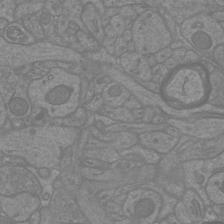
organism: Mouse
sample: Cortical neurons